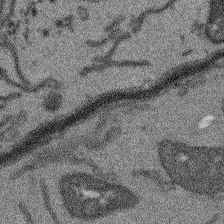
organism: Arabidopsis thaliana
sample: Root tip